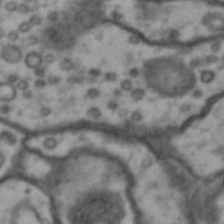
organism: Drosophila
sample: Brain